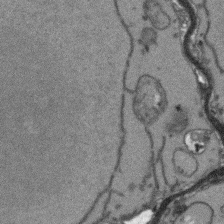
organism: Arabidopsis thaliana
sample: Root tip